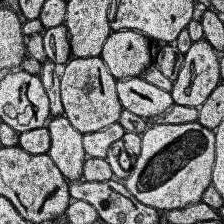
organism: Human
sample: Temporal Lobe